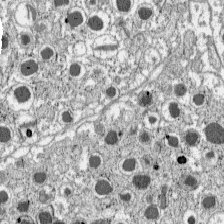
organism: C57BL Mouse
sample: Pancreatic islet